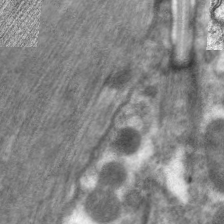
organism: C. elegans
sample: Pharynx